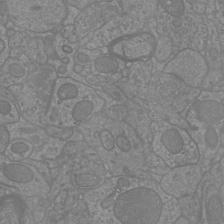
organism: Mouse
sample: Cortical neurons